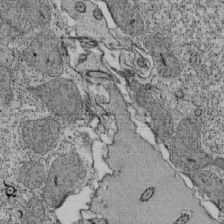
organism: Tetrahymena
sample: Cilia in tetrahymena